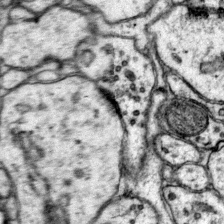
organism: Mouse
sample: Primary visual cortex